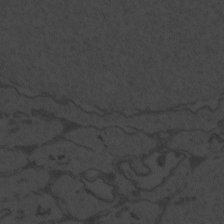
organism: Zebrafish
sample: Macrophage infected with Toxoplasma gondii